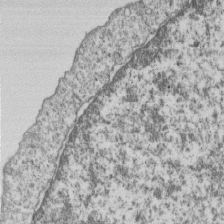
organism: Human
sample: MDA-MB-231 cells